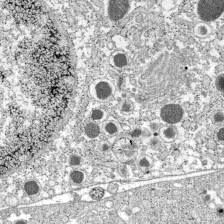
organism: C57BL Mouse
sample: Pancreatic islet